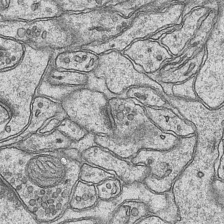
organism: Mouse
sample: CA1 Hippocampus